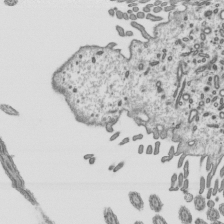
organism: Mouse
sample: Mouse epididymis efferent ductule cilia